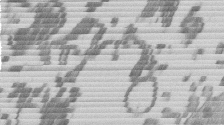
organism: Mouse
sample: Dividing mouse embryo 1 cell stage